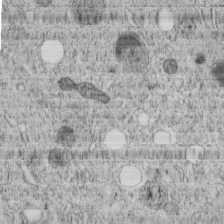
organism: C. elegans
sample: C. elegans embryo early stage